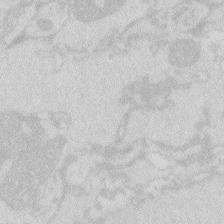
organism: Zebrafish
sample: Macrophage